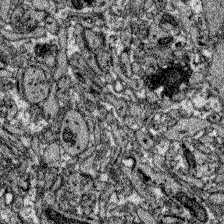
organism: Zebrafish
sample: Larval olfactory bulb